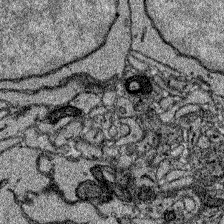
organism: Zebrafish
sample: Larval olfactory bulb